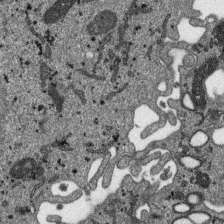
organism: Human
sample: Lung epithelial cells infected with SARS-CoV-2